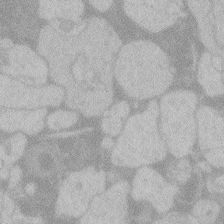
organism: Zebrafish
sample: Macrophage infected with Toxoplasma gondii